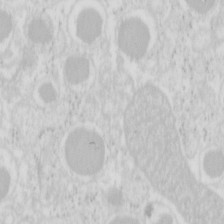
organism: Mouse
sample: Pancreas